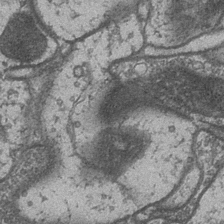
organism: Drosophila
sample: Optic medulla